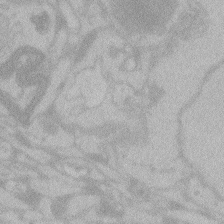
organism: Zebrafish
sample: Macrophage infected with Toxoplasma gondii